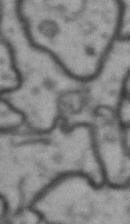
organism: Drosophila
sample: Brain